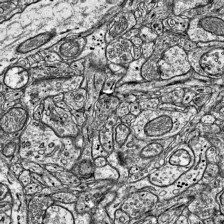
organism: Mouse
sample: Visual Cortex